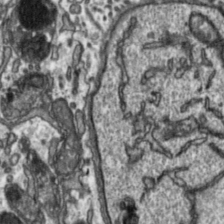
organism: Toxoplasma gondii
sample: Parasites in a vacuole inside a host cell